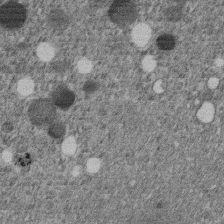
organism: C. elegans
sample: C. elegans embryo early stage